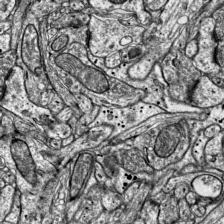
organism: Mouse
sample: Visual Cortex